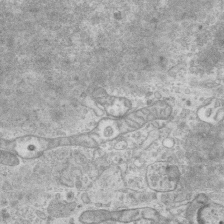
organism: Mouse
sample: Centriole in ependymal cells